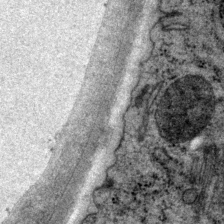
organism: P. pacificus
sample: Pharynx